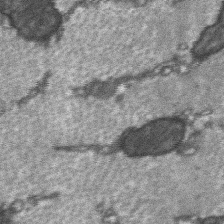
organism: C57BL Mouse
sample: Soleus